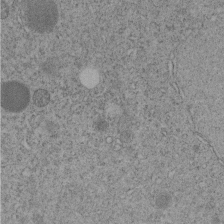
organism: C. elegans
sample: C. elegans embryo early stage